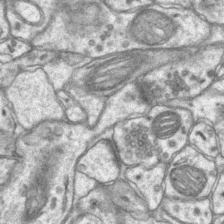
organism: Mouse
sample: CA1 Hippocampus